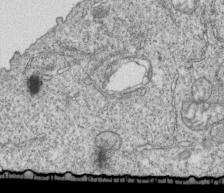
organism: Human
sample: HeLa cell HIV synapse